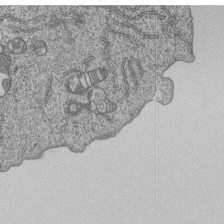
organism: Human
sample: MDA-MB-231 cells